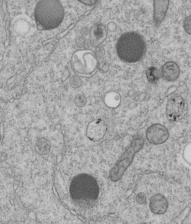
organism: C. elegans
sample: C. elegans embryo early stage